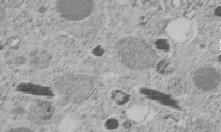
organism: C. elegans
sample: C. elegans embryo early stage